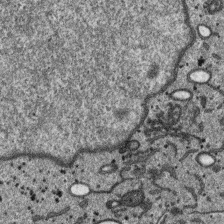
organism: Human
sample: Lung epithelial cells infected with SARS-CoV-2